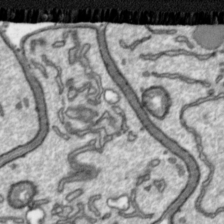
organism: Toxoplasma gondii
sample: Parasites in a vacuole inside a host cell